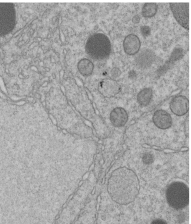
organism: C. elegans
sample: C. elegans embryo early stage